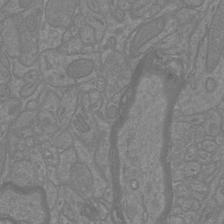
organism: Mouse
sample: Cortical neurons